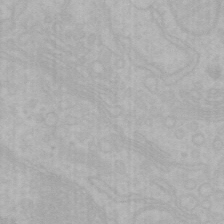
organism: Mouse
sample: Choroid plexus